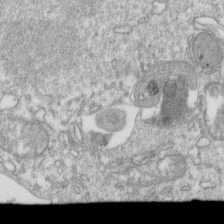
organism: Mouse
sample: Activated OT-1 CD8+ T cells